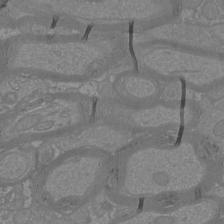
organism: Mouse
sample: Cortical neurons